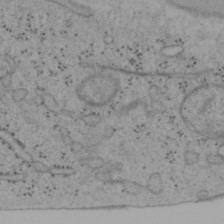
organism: Human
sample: HeLa cells